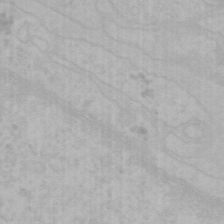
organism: Mouse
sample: Choroid plexus